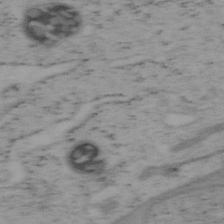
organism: Mouse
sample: OT-I killer T cells with ID8 ovarian cancer cells